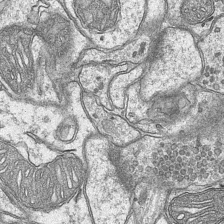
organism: Mouse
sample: CA1 Hippocampus